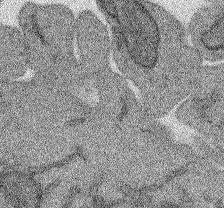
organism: Human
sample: HeLa cells